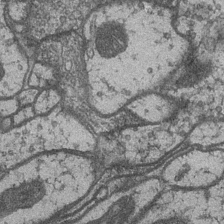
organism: Drosophila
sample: Optic medulla